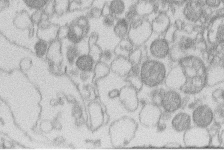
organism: Human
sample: Macrophage cells